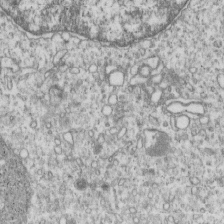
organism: Human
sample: MDA-MB-231 cells